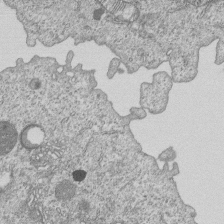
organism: Human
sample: MDA-MB-231 cells